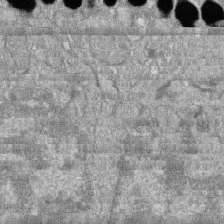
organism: Zebrafish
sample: Cilia; retinal pigment epithelium